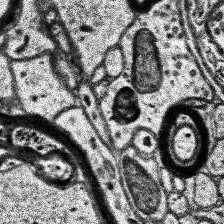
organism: Human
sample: Temporal Lobe